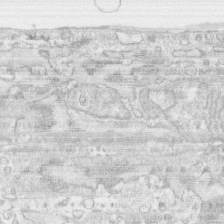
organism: Human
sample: CRL-1474